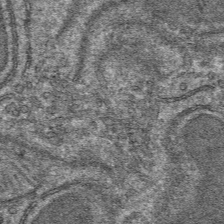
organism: Mouse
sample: Mouse hepatocytes